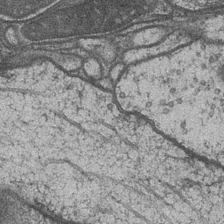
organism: Drosophila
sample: Optic medulla